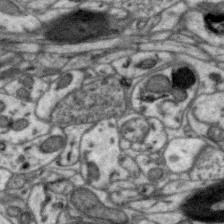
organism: Zebra finch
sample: Brain